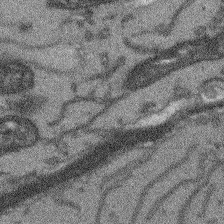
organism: Arabidopsis thaliana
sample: Root tip